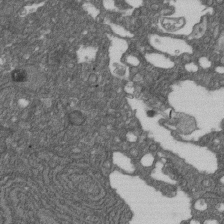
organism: Drosophila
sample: Nephrocyte